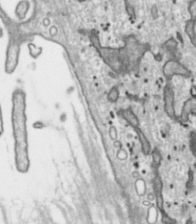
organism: Toxoplasma gondii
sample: Parasites in a vacuole inside a host cell